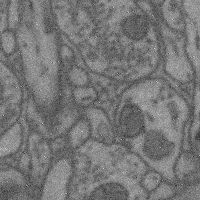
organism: Mouse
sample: Cerebral cortex